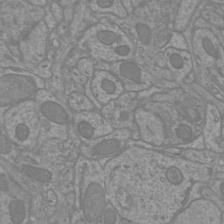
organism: Mouse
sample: Cortical neurons